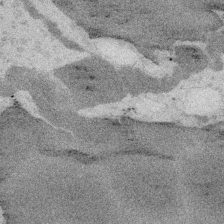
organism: Embia sp.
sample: Silk gland